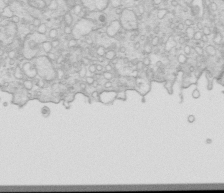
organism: Mouse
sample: Multiciliated cells